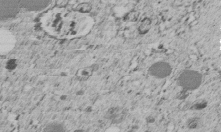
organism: C. elegans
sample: C. elegans embryo early stage